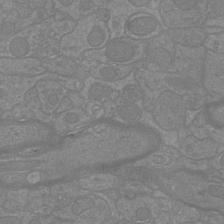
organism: Mouse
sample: Cortical neurons